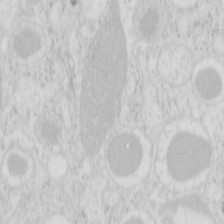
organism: Mouse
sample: Pancreas